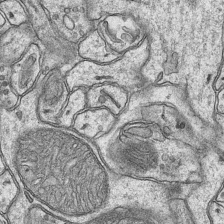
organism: Mouse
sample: CA1 Hippocampus